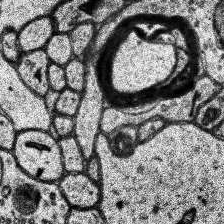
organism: Human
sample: Temporal Lobe